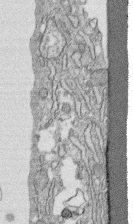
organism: Human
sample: CRL-1474